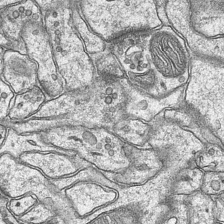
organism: Mouse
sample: CA1 Hippocampus